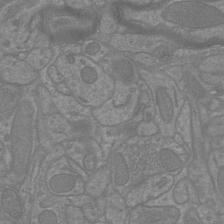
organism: Mouse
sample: Cortical neurons